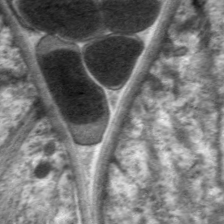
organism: C. elegans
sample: Pharynx